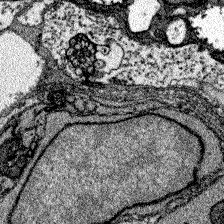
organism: Zebrafish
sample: Larval olfactory bulb